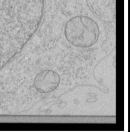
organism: Human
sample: Mitochondria in HCT116 cells